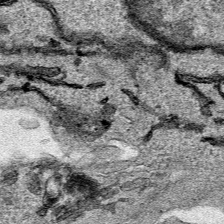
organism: Human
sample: Mitochondria in HCT116 cells